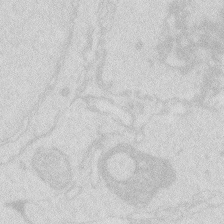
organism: Zebrafish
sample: Macrophage